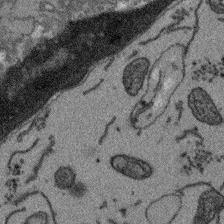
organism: Arabidopsis thaliana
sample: Root tip